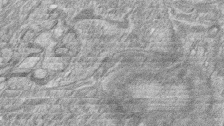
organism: Zebrafish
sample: synaptic ribbons in rod cells and cone cells